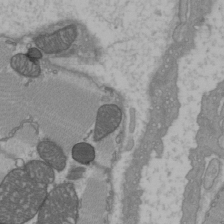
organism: C57BL Mouse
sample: Heart